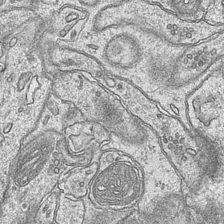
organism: Mouse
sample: CA1 Hippocampus